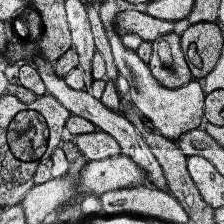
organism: Human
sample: Temporal Lobe